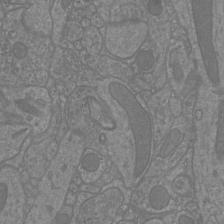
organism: Mouse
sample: Cortical neurons